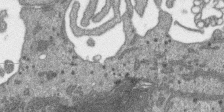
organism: Human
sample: Lung epithelial cells infected with SARS-CoV-2